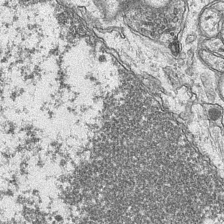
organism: Mouse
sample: CA1 Hippocampus